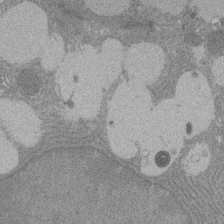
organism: Rat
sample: Salivary granule